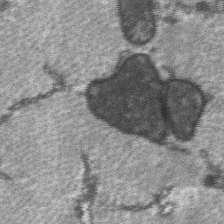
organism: C57BL Mouse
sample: Soleus